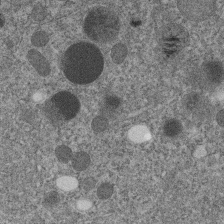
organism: C. elegans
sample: C. elegans embryo early stage